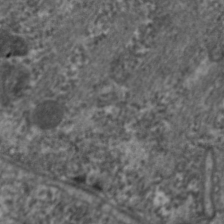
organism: C. elegans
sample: Pharynx